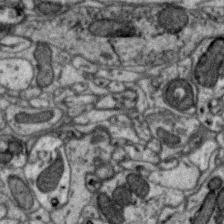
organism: Zebra finch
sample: Brain